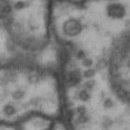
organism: Drosophila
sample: Brain